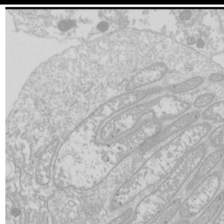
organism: Drosophila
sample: Cell division; meiosis; drosophila spermatocytes